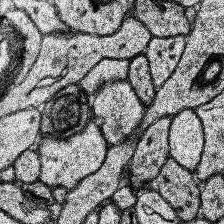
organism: Human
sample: Temporal Lobe